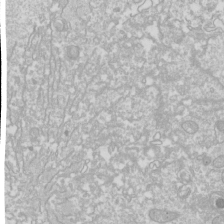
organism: Drosophila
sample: Cell division; meiosis; drosophila spermatocytes